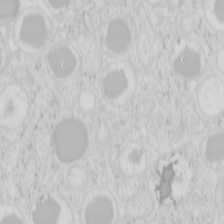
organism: Mouse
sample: Pancreas